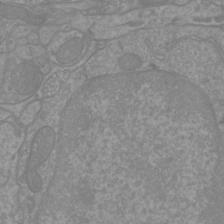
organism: Mouse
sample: Cortical neurons